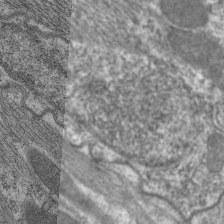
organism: C. elegans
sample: Pharynx